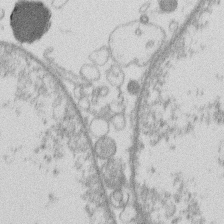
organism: Human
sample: Macrophage cells